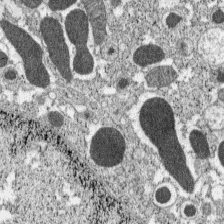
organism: C57BL Mouse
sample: Pancreatic islet